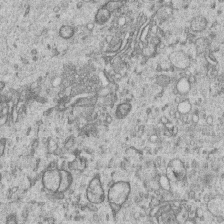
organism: Human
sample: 1205lu cells